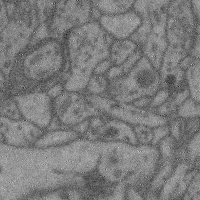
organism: Mouse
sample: Cerebral cortex